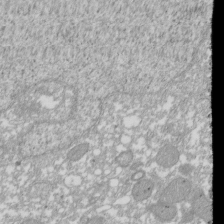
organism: Xenopus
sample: Cilia; centrioles in frog embryo cells